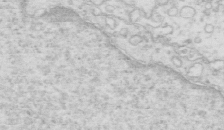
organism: Mouse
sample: Multiciliated cells